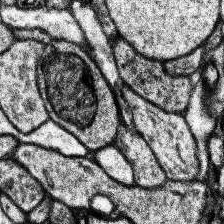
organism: Human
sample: Temporal Lobe